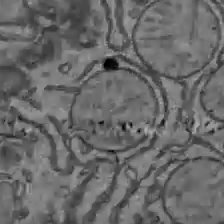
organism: C57BL Mouse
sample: Liver